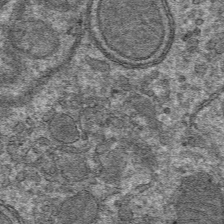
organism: Mouse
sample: Mouse hepatocytes